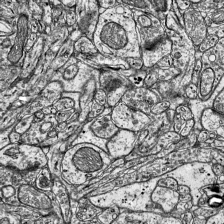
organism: Mouse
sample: Visual Cortex